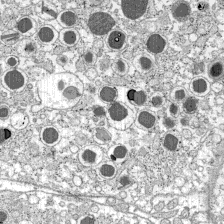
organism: C57BL Mouse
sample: Pancreatic islet